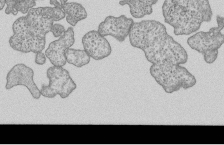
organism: Human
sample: MDA-MB-231 cells